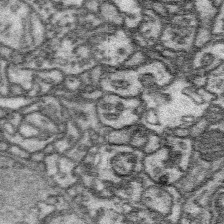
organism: Platynereis dumerilii